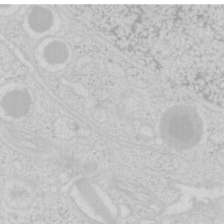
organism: Mouse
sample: Pancreas